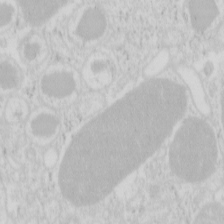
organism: Mouse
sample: Pancreas